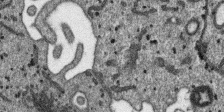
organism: Human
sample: Lung epithelial cells infected with SARS-CoV-2